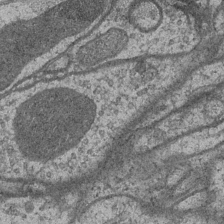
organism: Drosophila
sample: Optic medulla